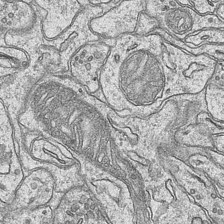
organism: Mouse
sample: CA1 Hippocampus